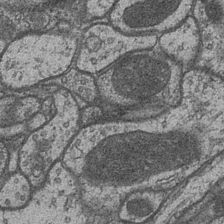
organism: Drosophila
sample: Optic medulla